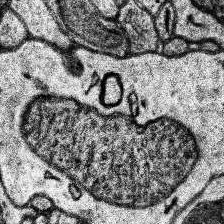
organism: Human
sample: Temporal Lobe